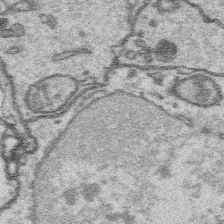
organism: Platynereis dumerilii